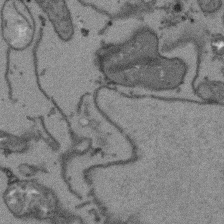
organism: Arabidopsis thaliana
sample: Root tip